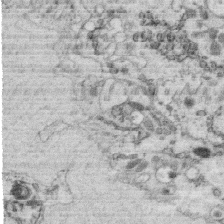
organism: C. elegans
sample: C. elegans oocyte; sperm cells